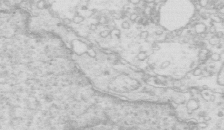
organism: Mouse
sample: Multiciliated cells